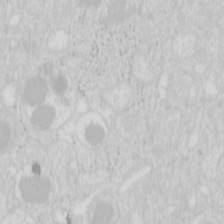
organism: Mouse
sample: Pancreas